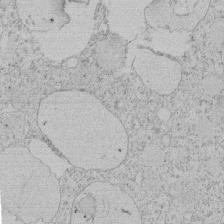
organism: Tetrahymena